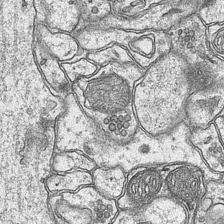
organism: Mouse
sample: CA1 Hippocampus